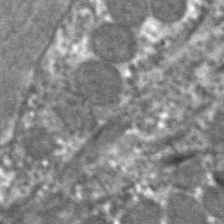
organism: C. elegans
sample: Pharynx